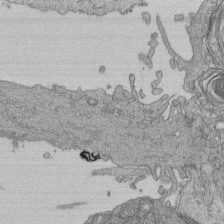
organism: Human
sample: Retinal organoid Rod and Cone cells